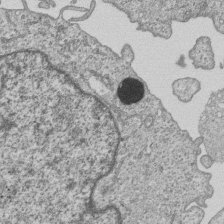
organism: Human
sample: MDA-MB-231 cells